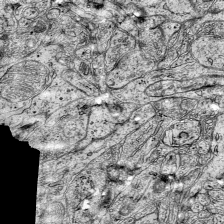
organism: Mouse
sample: Visual Cortex